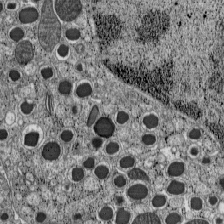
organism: C57BL Mouse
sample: Pancreatic islet